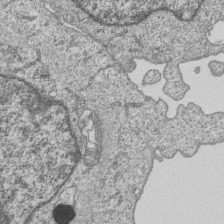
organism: Human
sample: MDA-MB-231 cells